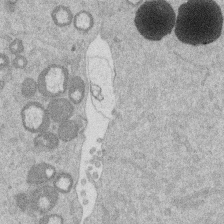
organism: Mouse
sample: Dividing mouse embryo 1 cell stage